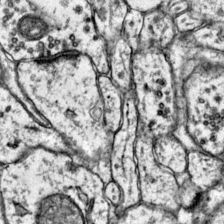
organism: Mouse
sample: Primary visual cortex